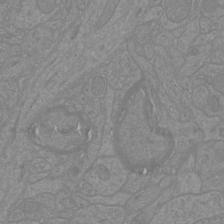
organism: Mouse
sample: Cortical neurons